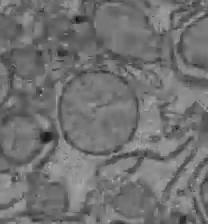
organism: C57BL Mouse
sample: Liver